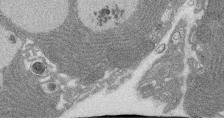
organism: Rat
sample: Salivary granule